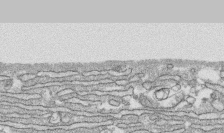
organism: Human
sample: CRL-1474